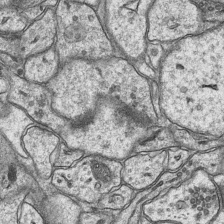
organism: Mouse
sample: CA1 Hippocampus